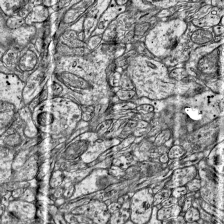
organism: Mouse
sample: Visual Cortex